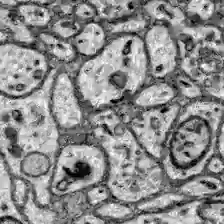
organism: Zebrafish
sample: Brain